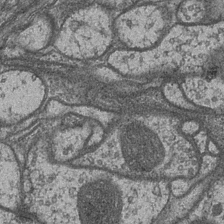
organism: Drosophila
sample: Optic medulla